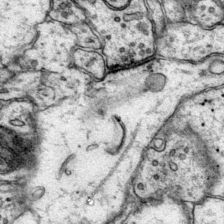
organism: Mouse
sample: Primary visual cortex